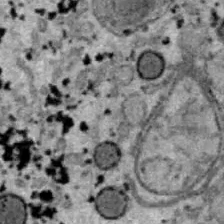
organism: Mouse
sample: Liver from an obese (ob/ob) mouse